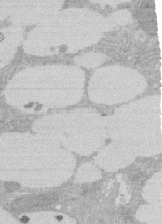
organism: Rat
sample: Salivary granule